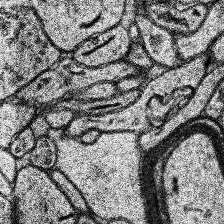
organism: Human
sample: Temporal Lobe